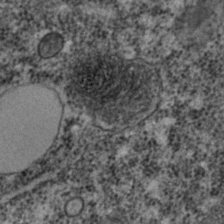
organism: C. elegans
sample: C. elegans embryo